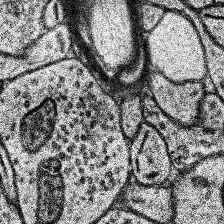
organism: Human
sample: Temporal Lobe